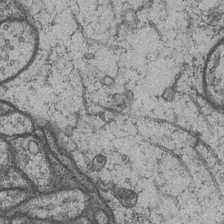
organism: Drosophila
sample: Optic medulla